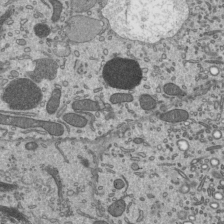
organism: Mouse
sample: Mouse epididymis efferent ductule cilia